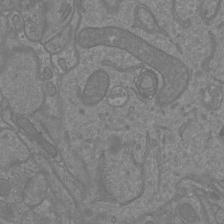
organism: Mouse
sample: Cortical neurons